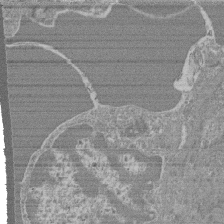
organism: Mouse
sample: Glomerulus